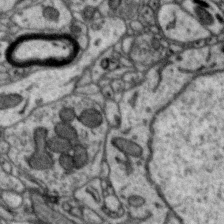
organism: Zebra finch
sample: Brain